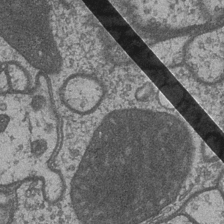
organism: Drosophila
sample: Optic medulla